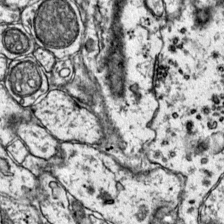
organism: Mouse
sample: Primary visual cortex